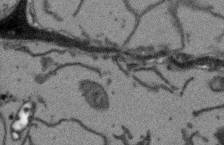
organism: Arabidopsis thaliana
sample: Root tip